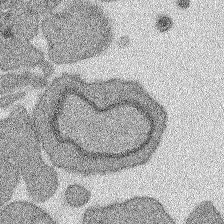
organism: Human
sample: HeLa cells